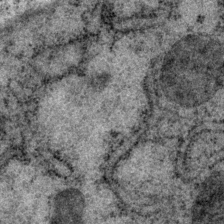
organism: P. pacificus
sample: Pharynx